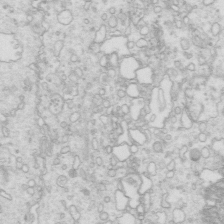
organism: Mouse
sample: Multiciliated cells